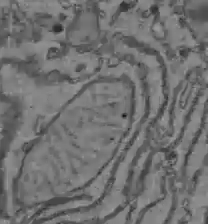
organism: C57BL Mouse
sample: Liver